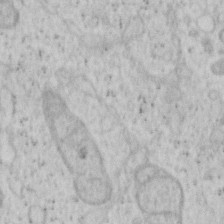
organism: Human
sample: HeLa cells